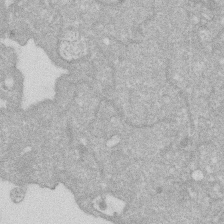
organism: Human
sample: HIV infected U937 cells